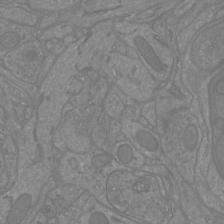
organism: Mouse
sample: Cortical neurons